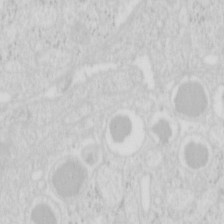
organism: Mouse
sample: Pancreas